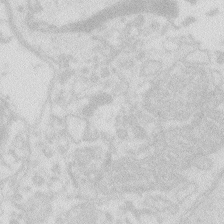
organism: Zebrafish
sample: Macrophage